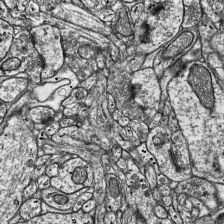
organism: Mouse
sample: Visual Cortex